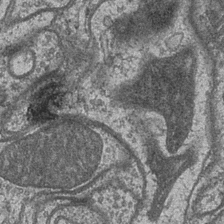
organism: Drosophila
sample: Optic medulla